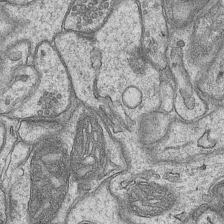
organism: Mouse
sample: CA1 Hippocampus